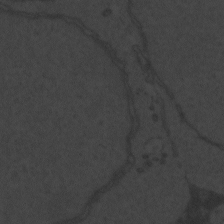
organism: Zebrafish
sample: Macrophage infected with Toxoplasma gondii